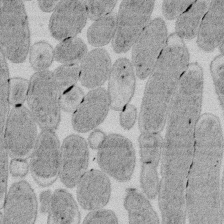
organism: E. coli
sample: Bacterial nucleoid